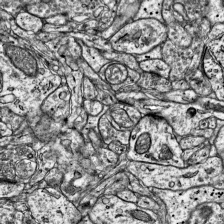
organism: Mouse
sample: Visual Cortex